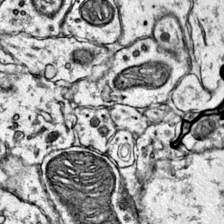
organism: Mouse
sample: Primary visual cortex